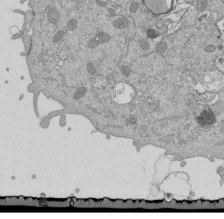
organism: Mouse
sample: ED-1 cell nuclei; centrioles